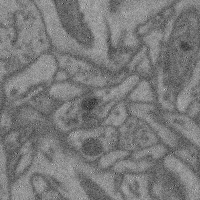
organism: Mouse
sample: Cerebral cortex